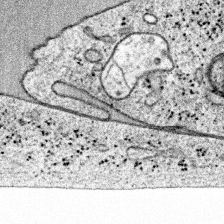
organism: Human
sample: HeLa cells